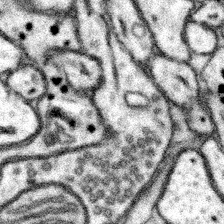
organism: Mouse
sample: Somatosensory cortex neuropil